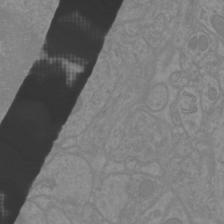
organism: Mouse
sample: Cortical neurons